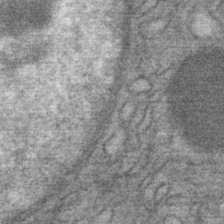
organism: Mouse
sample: Mouse Salivary gland